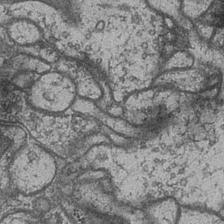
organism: Drosophila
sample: Optic medulla